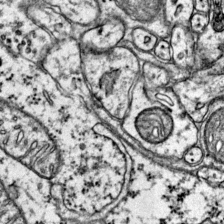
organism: Mouse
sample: Primary visual cortex